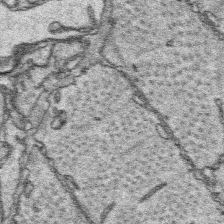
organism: Platynereis dumerilii